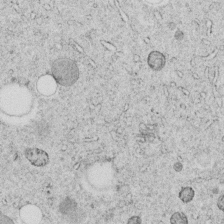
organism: C. elegans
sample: C. elegans embryo early stage